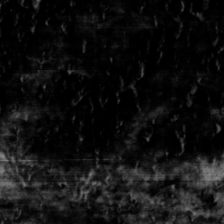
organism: Toxoplasma gondii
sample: Parasites in a vacuole inside a host cell